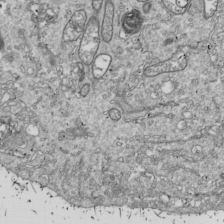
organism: Drosophila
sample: Cell division; meiosis; drosophila spermatocytes